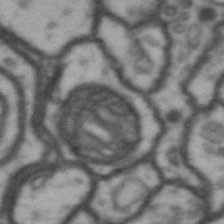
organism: Drosophila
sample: Brain